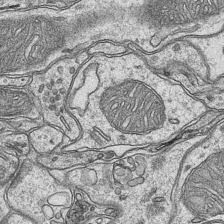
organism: Mouse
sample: CA1 Hippocampus